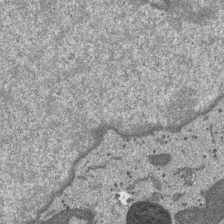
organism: Human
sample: Lung epithelial cells infected with SARS-CoV-2